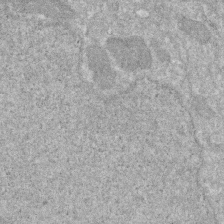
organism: Human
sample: HIV infected U937 cells